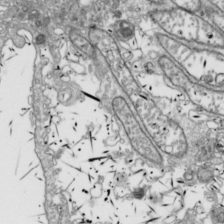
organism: Drosophila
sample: Cell division; meiosis; drosophila spermatocytes